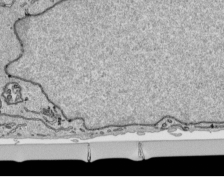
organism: Human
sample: Mitochondria in HCT116 cells